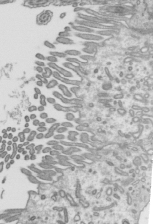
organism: Mouse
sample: Mouse epididymis efferent ductule cilia